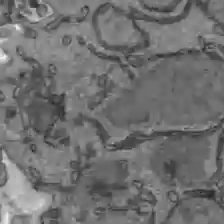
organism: C57BL Mouse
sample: Liver